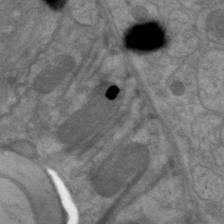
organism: C. elegans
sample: Pharynx